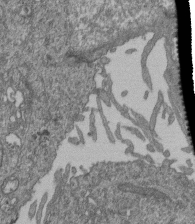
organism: Human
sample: Retinal organoid Rod and Cone cells